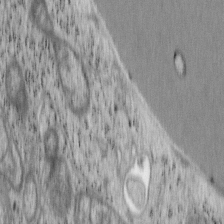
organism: Human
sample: HeLa cells